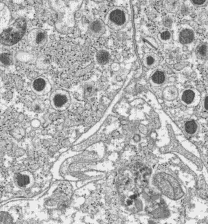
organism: C57BL Mouse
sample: Pancreatic islet